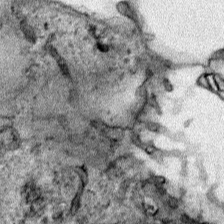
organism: Human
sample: Mitochondria in HCT116 cells